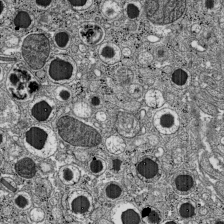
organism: C57BL Mouse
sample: Pancreatic islet